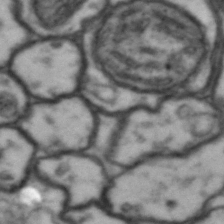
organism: Drosophila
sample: Brain